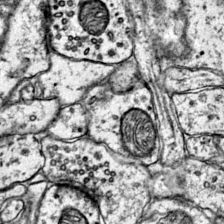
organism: Mouse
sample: Primary visual cortex